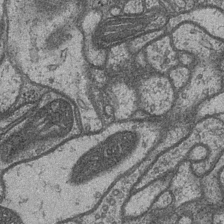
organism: Drosophila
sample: Optic medulla